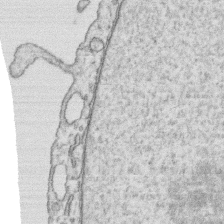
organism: Human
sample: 1205lu cells